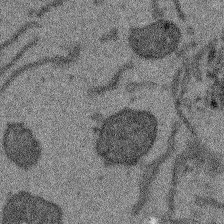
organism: Arabidopsis thaliana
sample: Root tip